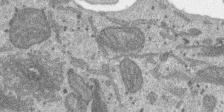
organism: Human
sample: Lung epithelial cells infected with SARS-CoV-2